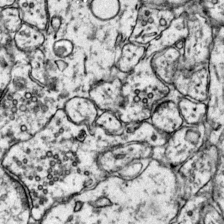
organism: Mouse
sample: Primary visual cortex